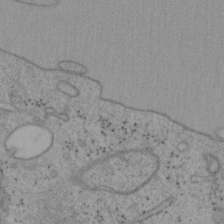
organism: Human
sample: HeLa cells